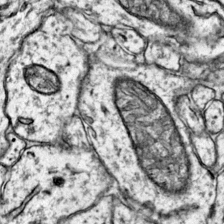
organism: Mouse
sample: Primary visual cortex